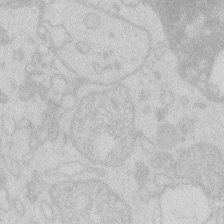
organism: Zebrafish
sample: Macrophage